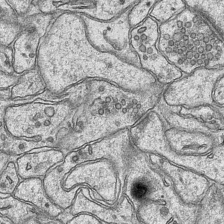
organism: Mouse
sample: CA1 Hippocampus